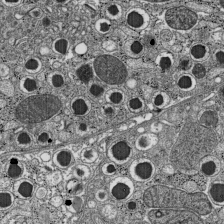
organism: C57BL Mouse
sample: Pancreatic islet